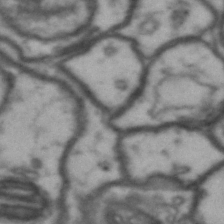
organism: Drosophila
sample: Brain